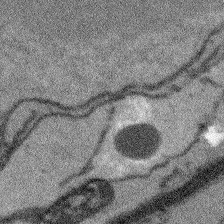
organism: Arabidopsis thaliana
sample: Root tip